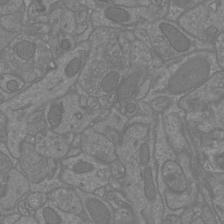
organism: Mouse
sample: Cortical neurons